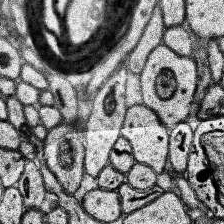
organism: Human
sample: Temporal Lobe